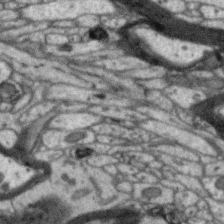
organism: Zebra finch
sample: Brain